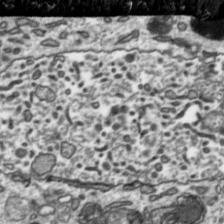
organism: Toxoplasma gondii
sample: Parasites in a vacuole inside a host cell